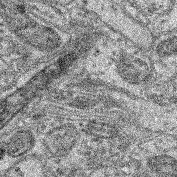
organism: Mouse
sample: Retina